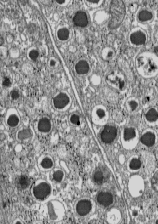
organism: C57BL Mouse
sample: Pancreatic islet